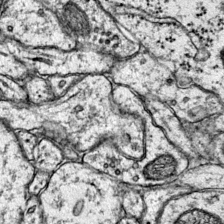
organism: Mouse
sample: Primary visual cortex